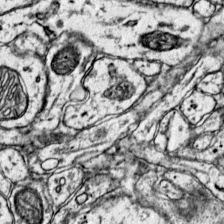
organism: Mouse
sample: Primary visual cortex